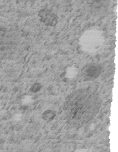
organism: C. elegans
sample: C. elegans embryo early stage